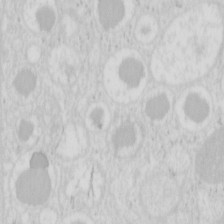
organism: Mouse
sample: Pancreas